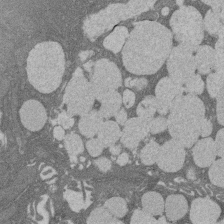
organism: Rat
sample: Salivary granule